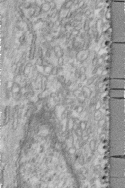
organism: Human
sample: Centriole in fibroblast cells